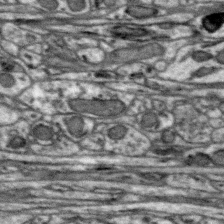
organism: Zebra finch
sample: Brain